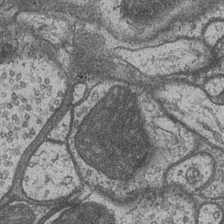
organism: Drosophila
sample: Optic medulla